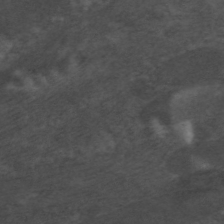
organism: C. elegans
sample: Pharynx